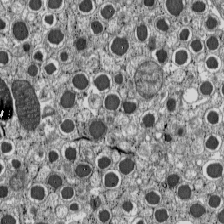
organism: C57BL Mouse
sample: Pancreatic islet